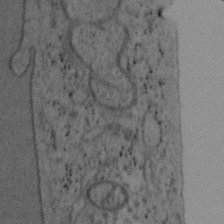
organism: Human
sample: HeLa cells